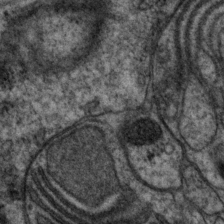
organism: P. pacificus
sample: Pharynx